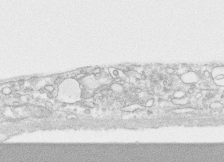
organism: Human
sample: CRL-1474